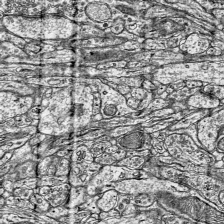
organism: Mouse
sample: Visual Cortex